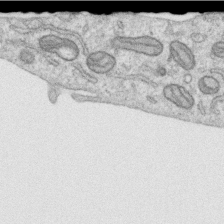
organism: Human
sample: Centriole in RPE cells